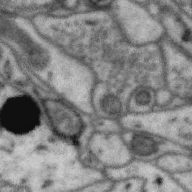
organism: Zebra finch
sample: Brain